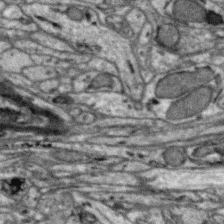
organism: Zebra finch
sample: Brain